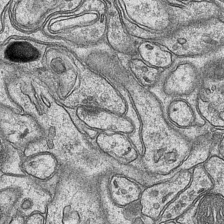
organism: Mouse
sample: CA1 Hippocampus